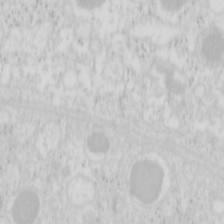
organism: Mouse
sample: Pancreas